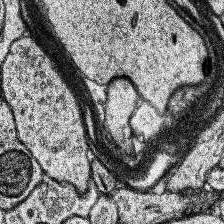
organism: Human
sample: Temporal Lobe